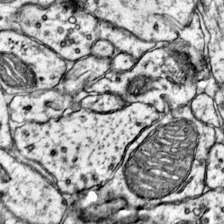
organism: Mouse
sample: Primary visual cortex